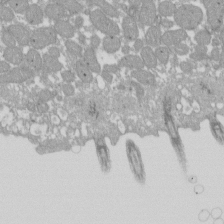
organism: Xenopus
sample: Cilia; centrioles in frog embryo cells